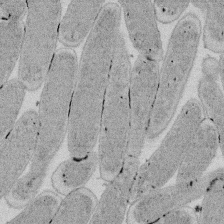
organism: E. coli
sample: Bacterial nucleoid